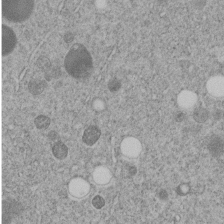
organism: C. elegans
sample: C. elegans embryo early stage